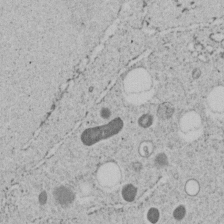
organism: C. elegans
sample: C. elegans embryo early stage